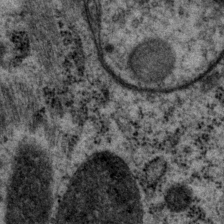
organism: P. pacificus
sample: Pharynx